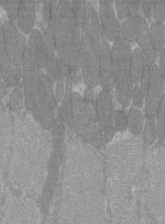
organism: C57BL Mouse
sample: Tibialis anterior muscle cell